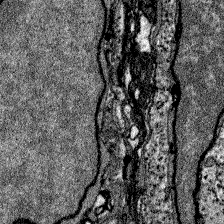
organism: Zebrafish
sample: Larval olfactory bulb